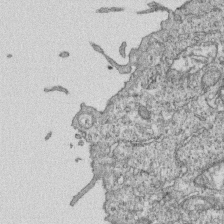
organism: Human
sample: HeLa cell HIV synapse